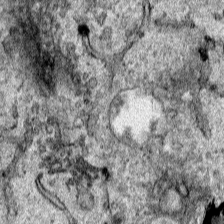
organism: Human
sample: Mitochondria in HCT116 cells